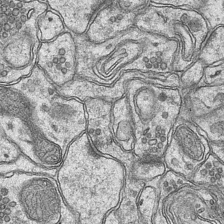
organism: Mouse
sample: CA1 Hippocampus